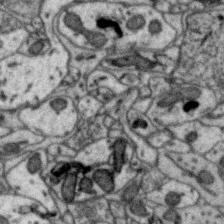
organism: Zebra finch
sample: Brain